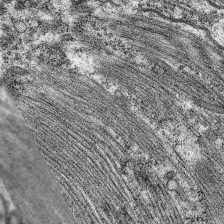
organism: C. elegans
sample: Pharynx